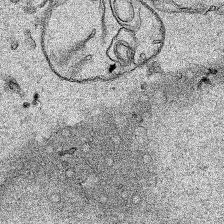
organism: Human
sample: Mitochondria in HCT116 cells